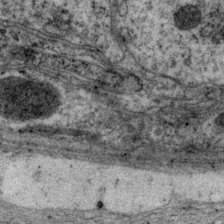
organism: P. pacificus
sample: Pharynx